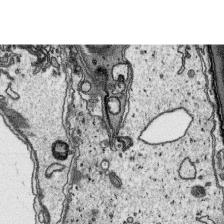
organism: Platynereis dumerilii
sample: Parapodia